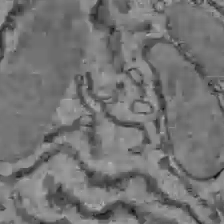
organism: C57BL Mouse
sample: Liver